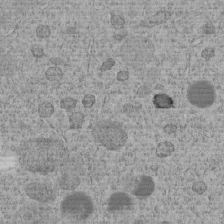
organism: C. elegans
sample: C. elegans embryo early stage